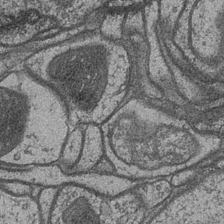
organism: Drosophila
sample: Optic medulla